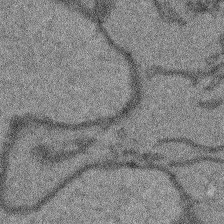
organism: Arabidopsis thaliana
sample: Root tip